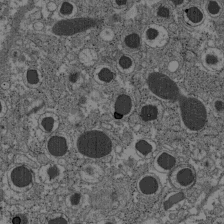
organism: C57BL Mouse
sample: Pancreatic islet